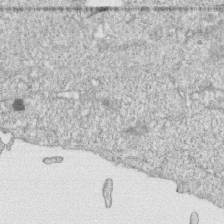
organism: Human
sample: HeLa cell HIV synapse